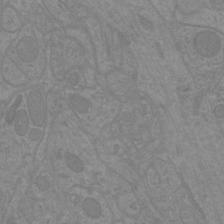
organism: Mouse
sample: Cortical neurons